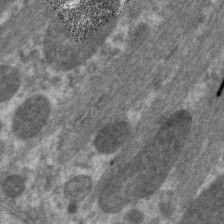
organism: C. elegans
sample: Pharynx